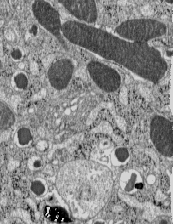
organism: C57BL Mouse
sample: Pancreatic islet